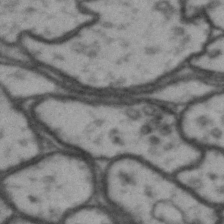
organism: Drosophila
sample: Brain